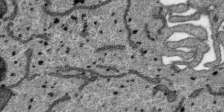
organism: Human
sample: Lung epithelial cells, uninfected (mock) control